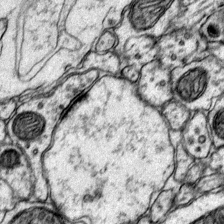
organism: Mouse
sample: Primary visual cortex